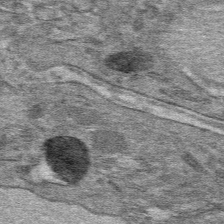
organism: Mouse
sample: Mouse hepatocytes